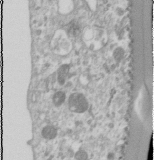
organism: Human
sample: Cilia; basal body in RPE cells